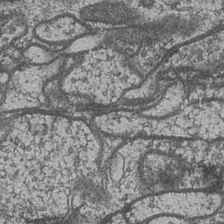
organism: Drosophila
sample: Optic medulla